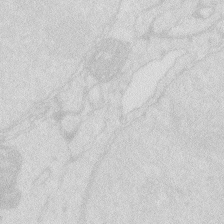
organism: Zebrafish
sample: Macrophage